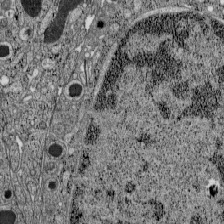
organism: C57BL Mouse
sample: Pancreatic islet